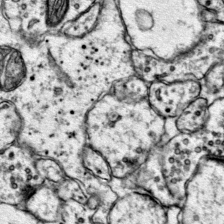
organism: Mouse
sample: Primary visual cortex